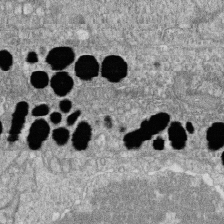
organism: Zebrafish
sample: Cilia; retinal pigment epithelium